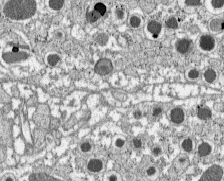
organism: C57BL Mouse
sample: Pancreatic islet